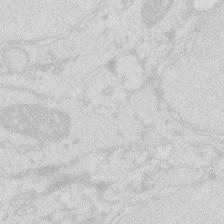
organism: Zebrafish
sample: Macrophage